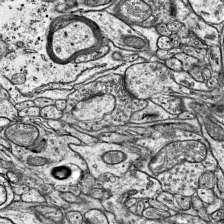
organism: Mouse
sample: Visual Cortex